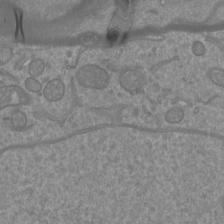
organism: Mouse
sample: Cortical neurons